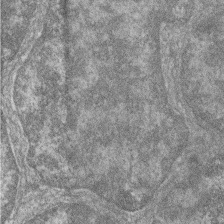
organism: Zebrafish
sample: Cilia; retinal pigment epithelium